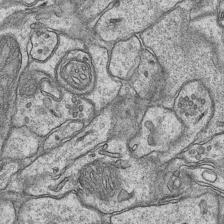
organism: Mouse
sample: CA1 Hippocampus